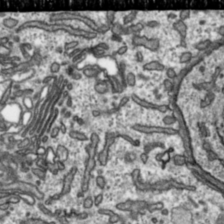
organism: Toxoplasma gondii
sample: Parasites in a vacuole inside a host cell